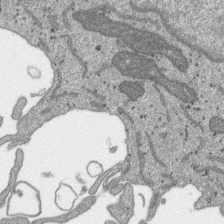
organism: Human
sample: Lung epithelial cells infected with SARS-CoV-2